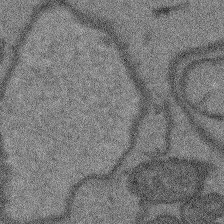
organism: Arabidopsis thaliana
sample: Root tip